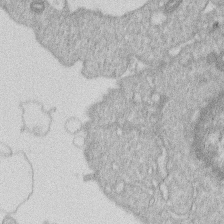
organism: Human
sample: Macrophage cells